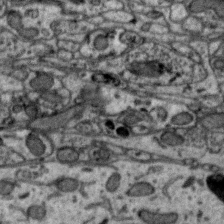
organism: Zebra finch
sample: Brain